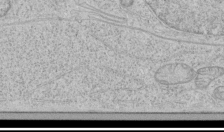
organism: Human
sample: Mitochondria in HCT116 cells